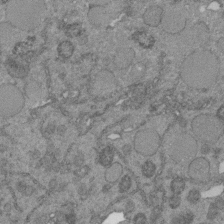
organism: C. elegans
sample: C. elegans embryo early stage